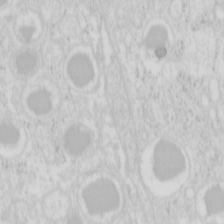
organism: Mouse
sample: Pancreas